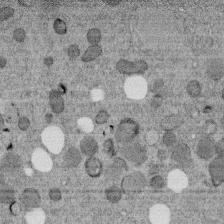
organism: C. elegans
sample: C. elegans embryo early stage